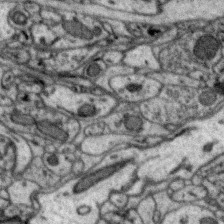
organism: Zebra finch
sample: Brain